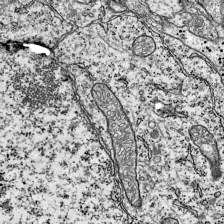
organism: Mouse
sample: Visual Cortex